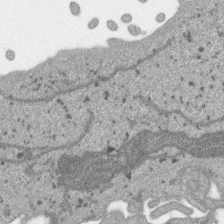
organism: Human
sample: Lung epithelial cells infected with SARS-CoV-2